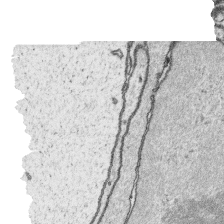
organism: Platynereis dumerilii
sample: Parapodia